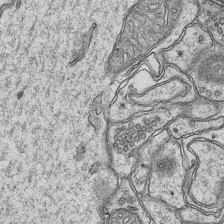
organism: Mouse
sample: CA1 Hippocampus